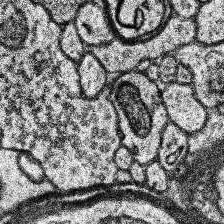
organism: Human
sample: Temporal Lobe